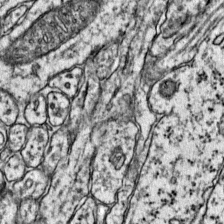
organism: Mouse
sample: Primary visual cortex